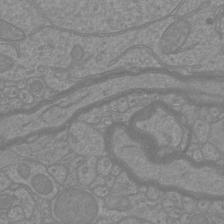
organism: Mouse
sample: Cortical neurons